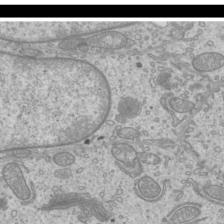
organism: Mouse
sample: Cilia; mouse epididymis